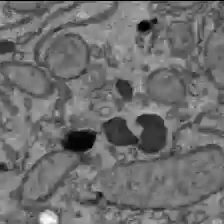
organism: C57BL Mouse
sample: Liver